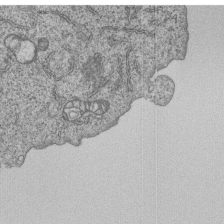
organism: Human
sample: MDA-MB-231 cells